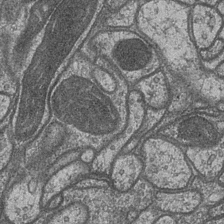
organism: Drosophila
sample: Optic medulla